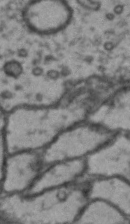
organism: Drosophila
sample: Brain